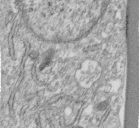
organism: Human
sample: Centriole in fibroblast cells